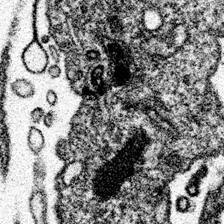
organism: Spongilla lacustris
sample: Neuroid cell